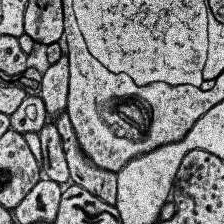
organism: Human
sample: Temporal Lobe